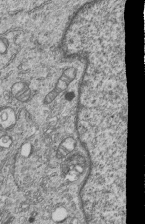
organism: Human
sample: MDA-MB-231 cells